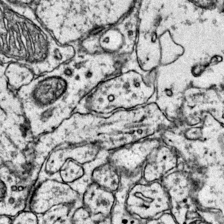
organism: Mouse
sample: Primary visual cortex